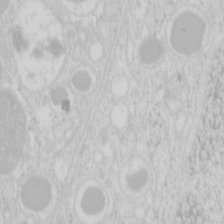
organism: Mouse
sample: Pancreas